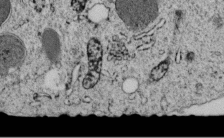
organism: C. elegans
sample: C. elegans embryo early stage